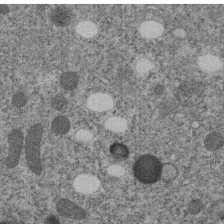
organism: C. elegans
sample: C. elegans embryo early stage